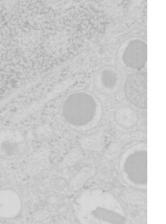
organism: Mouse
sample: Pancreas